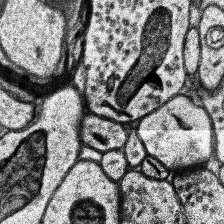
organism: Human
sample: Temporal Lobe